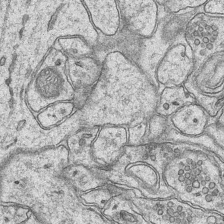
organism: Mouse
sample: CA1 Hippocampus